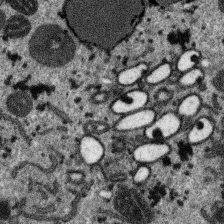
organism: Human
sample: Lung epithelial cells infected with SARS-CoV-2